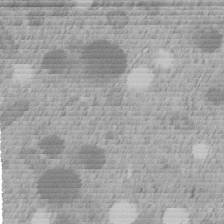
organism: C. elegans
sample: C. elegans embryo early stage